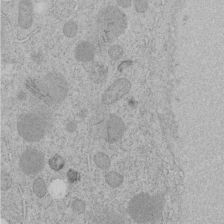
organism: C. elegans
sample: C. elegans embryo early stage